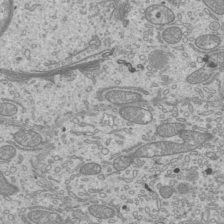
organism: Mouse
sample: Cilia; mouse epididymis